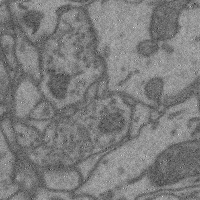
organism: Mouse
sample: Cerebral cortex